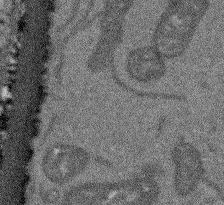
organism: Arabidopsis thaliana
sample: Root tip